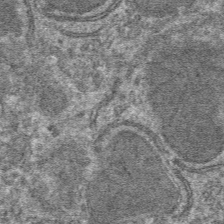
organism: Mouse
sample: Mouse hepatocytes